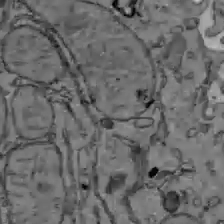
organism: C57BL Mouse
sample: Liver